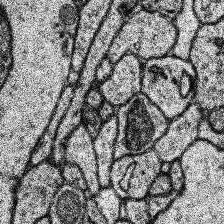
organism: Human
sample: Temporal Lobe